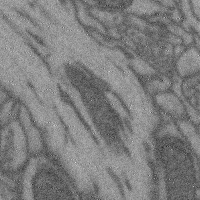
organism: Mouse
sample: Cerebral cortex